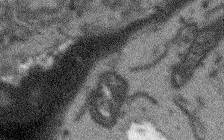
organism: Arabidopsis thaliana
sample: Root tip